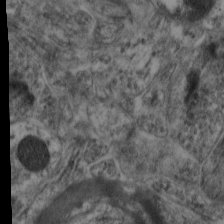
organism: Mouse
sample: Neocortex